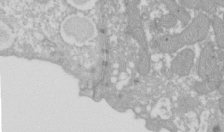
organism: Xenopus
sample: Cilia; centrioles in frog embryo cells